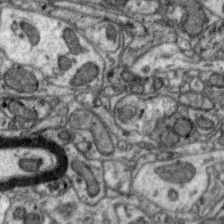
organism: Zebra finch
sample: Brain